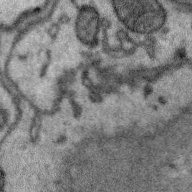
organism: Zebra finch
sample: Brain